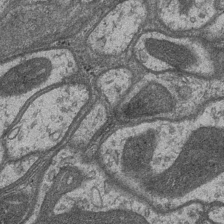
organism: Drosophila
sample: Optic medulla